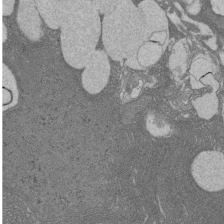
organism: Rat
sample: Salivary granule